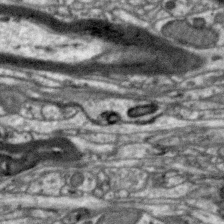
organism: Zebra finch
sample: Brain